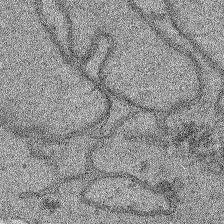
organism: Human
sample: HeLa cells